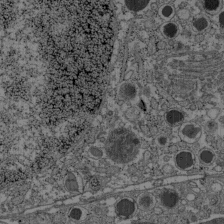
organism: C57BL Mouse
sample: Pancreatic islet